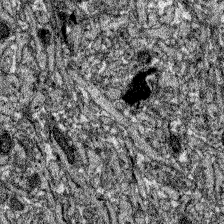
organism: Zebrafish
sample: Larval olfactory bulb